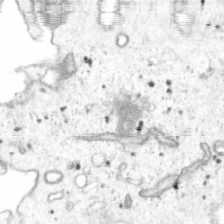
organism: Human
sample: HeLa cells